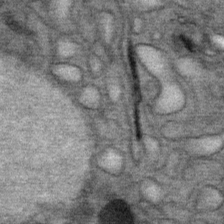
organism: Mouse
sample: Mouse Salivary gland